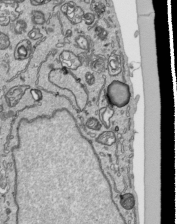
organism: Human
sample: Mitochondria in HCT116 cells